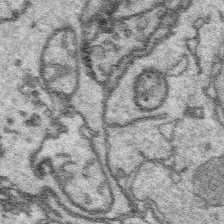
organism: Platynereis dumerilii